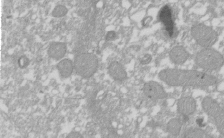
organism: Xenopus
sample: Cilia; centrioles in frog embryo cells